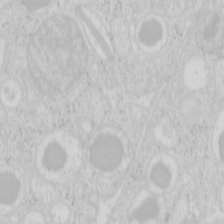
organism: Mouse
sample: Pancreas